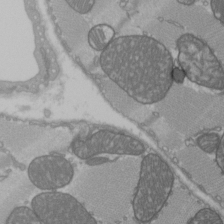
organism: C57BL Mouse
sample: Heart